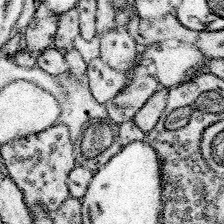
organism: Mouse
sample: Somatosensory cortex neuropil